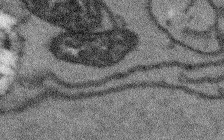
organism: Arabidopsis thaliana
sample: Root tip